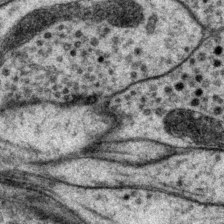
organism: P. pacificus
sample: Pharynx